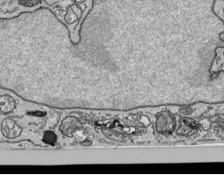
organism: Human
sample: Mitochondria in HCT116 cells